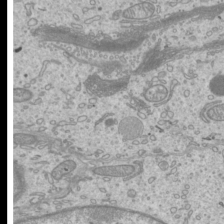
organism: Mouse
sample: Cilia; mouse epididymis